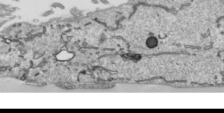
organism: Human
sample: Mitochondria in HCT116 cells